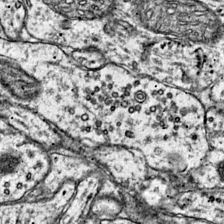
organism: Mouse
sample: Primary visual cortex